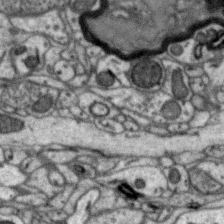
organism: Zebra finch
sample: Brain